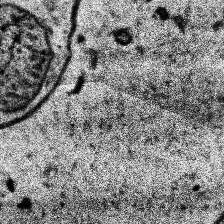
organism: Human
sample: Temporal Lobe